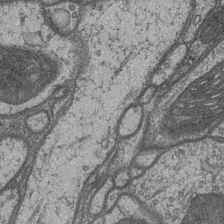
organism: Drosophila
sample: Optic medulla